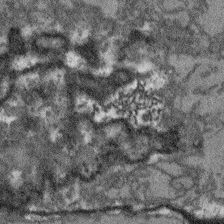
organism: Arabidopsis thaliana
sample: Root tip